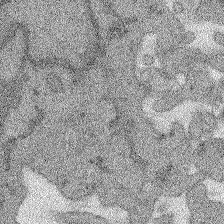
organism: Human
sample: HeLa cells